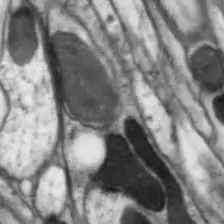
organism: Drosophila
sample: Optic lobe